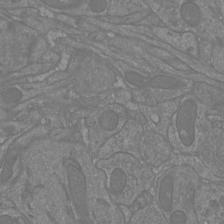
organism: Mouse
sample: Cortical neurons